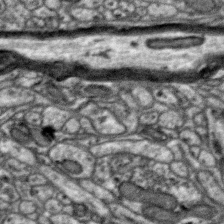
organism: Zebra finch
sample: Brain